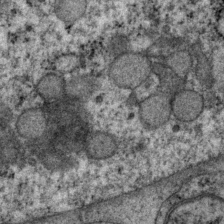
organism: P. pacificus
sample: Pharynx